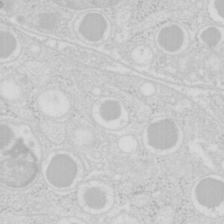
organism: Mouse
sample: Pancreas